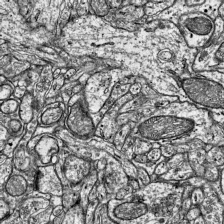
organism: Mouse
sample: Visual Cortex